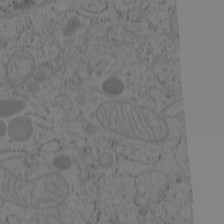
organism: Human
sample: HeLa cells